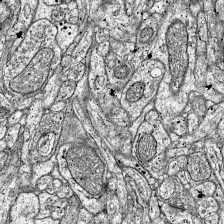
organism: Mouse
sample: Visual Cortex